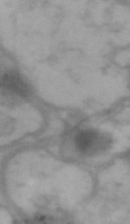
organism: Drosophila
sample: Brain